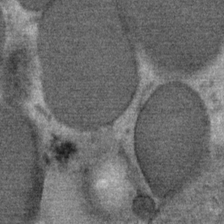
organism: Mouse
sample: Mouse Salivary gland